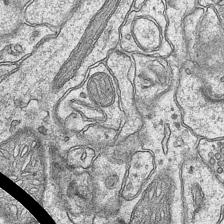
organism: Mouse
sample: CA1 Hippocampus